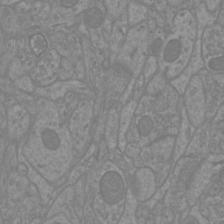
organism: Mouse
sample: Cortical neurons